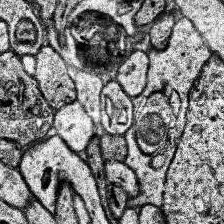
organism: Human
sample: Temporal Lobe